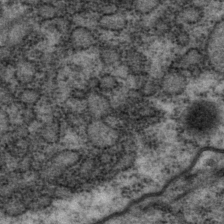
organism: P. pacificus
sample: Pharynx